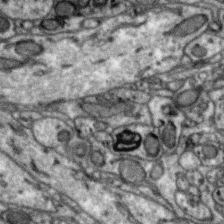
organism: Zebra finch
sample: Brain